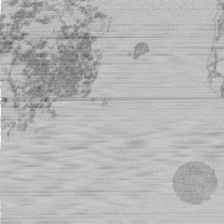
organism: Mouse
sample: Activated Pmel transgenic CD8+ T Cells